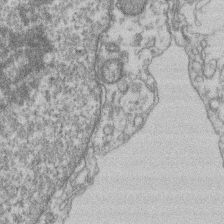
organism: Mouse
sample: T cell stromal cell synapse